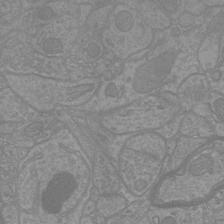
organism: Mouse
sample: Cortical neurons